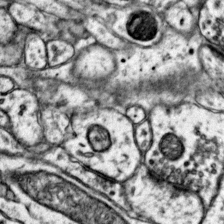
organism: Mouse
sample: Primary visual cortex